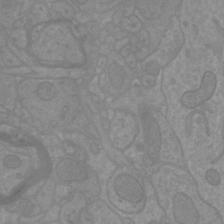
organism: Mouse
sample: Cortical neurons